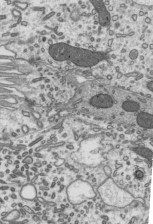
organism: Mouse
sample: Mouse epididymis efferent ductule cilia